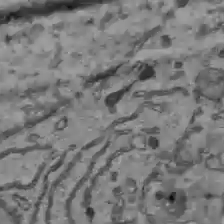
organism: C57BL Mouse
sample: Liver